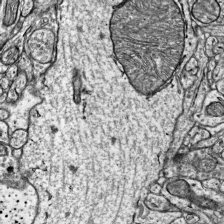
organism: Mouse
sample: Visual Cortex